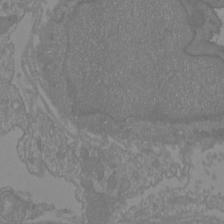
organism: Mouse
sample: Cortical neurons